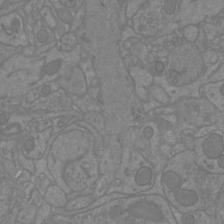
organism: Mouse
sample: Cortical neurons